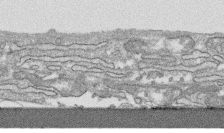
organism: Human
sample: CRL-1474